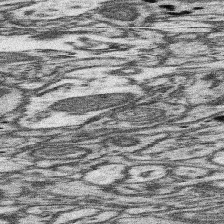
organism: Mouse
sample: Somatosensory cortex neuropil